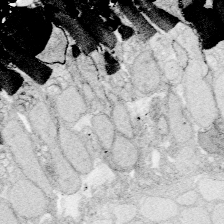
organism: Zebrafish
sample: Whole-Brain